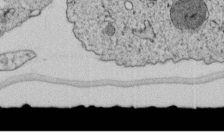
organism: C. elegans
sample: C. elegans embryo early stage